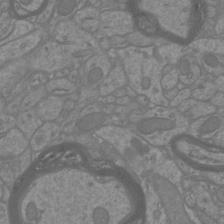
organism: Mouse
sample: Cortical neurons